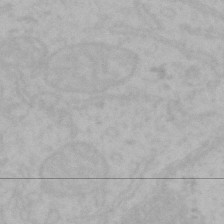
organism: Mouse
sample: Choroid plexus